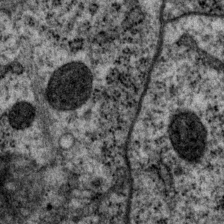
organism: P. pacificus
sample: Pharynx